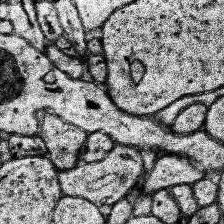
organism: Human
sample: Temporal Lobe